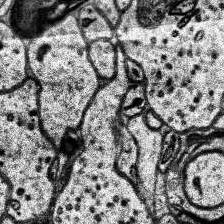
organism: Human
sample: Temporal Lobe